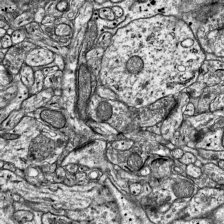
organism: Mouse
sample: Visual Cortex